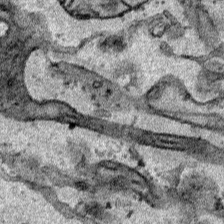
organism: Human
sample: Mitochondria in HCT116 cells